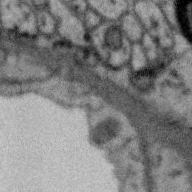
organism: Zebra finch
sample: Brain